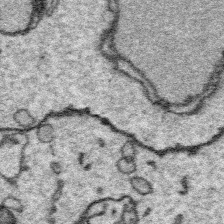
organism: Platynereis dumerilii